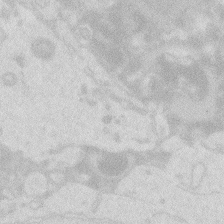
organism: Zebrafish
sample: Macrophage